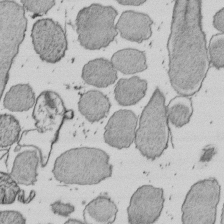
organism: E. coli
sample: Bacterial nucleoid